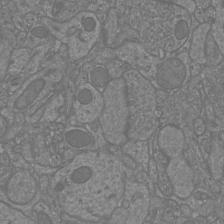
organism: Mouse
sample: Cortical neurons